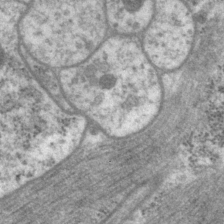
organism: P. pacificus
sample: Pharynx